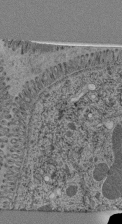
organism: C. elegans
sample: C. elegans pharynx